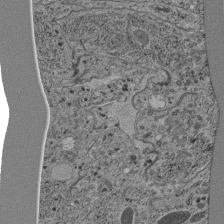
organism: C. elegans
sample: C. elegans pharynx